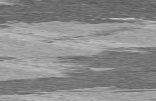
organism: C57BL Mouse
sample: Heart